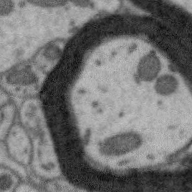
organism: Zebra finch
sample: Brain